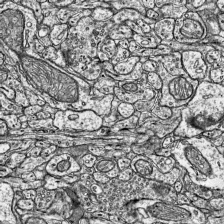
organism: Mouse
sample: Visual Cortex